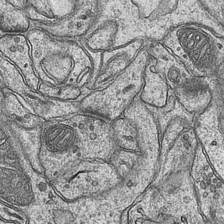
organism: Mouse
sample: CA1 Hippocampus